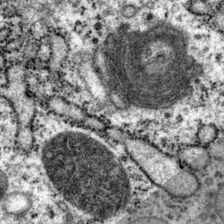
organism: P. pacificus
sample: Pharynx